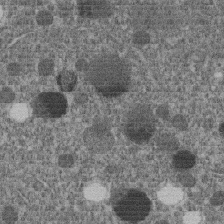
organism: C. elegans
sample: C. elegans embryo early stage